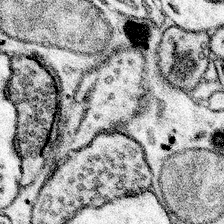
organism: Mouse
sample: Somatosensory cortex neuropil